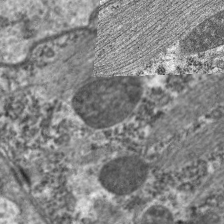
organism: C. elegans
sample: Pharynx